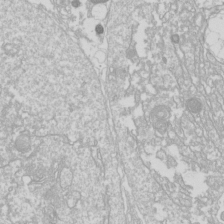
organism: Drosophila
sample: Cell division; meiosis; drosophila spermatocytes